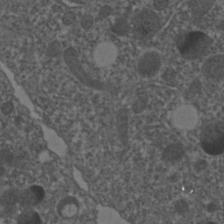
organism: C. elegans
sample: C. elegans embryo